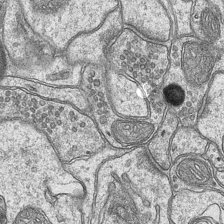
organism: Mouse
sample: CA1 Hippocampus